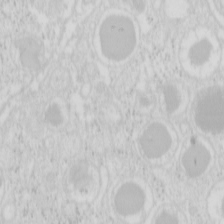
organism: Mouse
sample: Pancreas